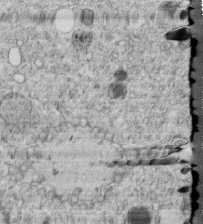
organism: C. elegans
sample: C. elegans embryo early stage